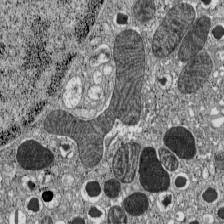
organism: C57BL Mouse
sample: Pancreatic islet